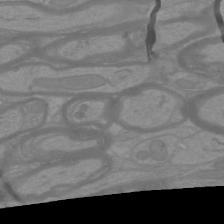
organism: Mouse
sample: Cortical neurons